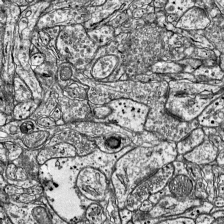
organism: Mouse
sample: Visual Cortex